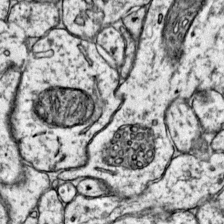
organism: Mouse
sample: Primary visual cortex